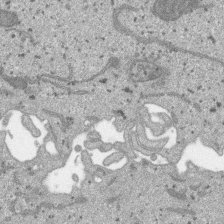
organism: Human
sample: Lung epithelial cells infected with SARS-CoV-2